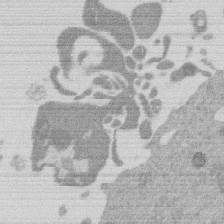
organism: Mouse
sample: Dividing mouse embryo 1 cell stage